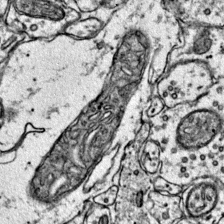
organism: Mouse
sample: Primary visual cortex